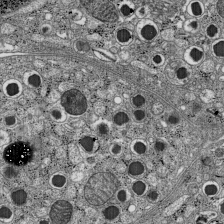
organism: C57BL Mouse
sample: Pancreatic islet